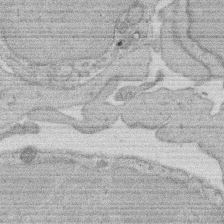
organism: Rat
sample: Salivary granule